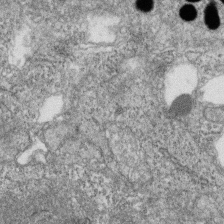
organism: Zebrafish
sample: Cilia; retinal pigment epithelium